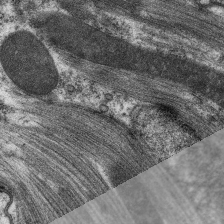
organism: C. elegans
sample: Pharynx